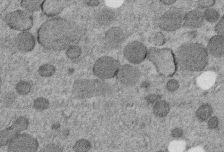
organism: C. elegans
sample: C. elegans embryo early stage